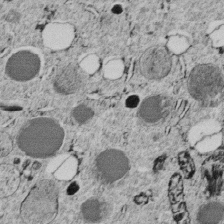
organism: C. elegans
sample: C. elegans embryo early stage